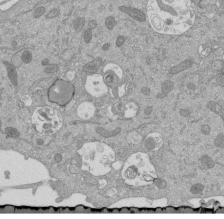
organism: Mouse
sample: ED-1 cell nuclei; centrioles